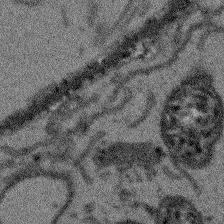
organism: Arabidopsis thaliana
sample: Root tip